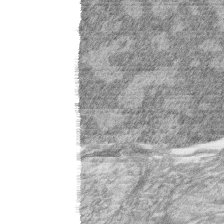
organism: Zebrafish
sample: synaptic ribbons in rod cells and cone cells